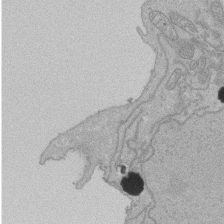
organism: Human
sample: Activated Jurkat CD4+ T cells